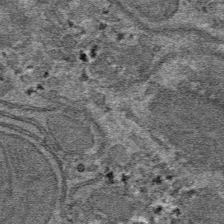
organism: Mouse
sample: Mouse hepatocytes